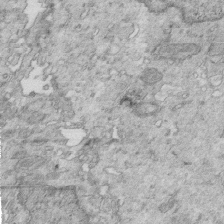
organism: Mouse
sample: Multiciliated cells